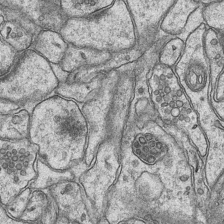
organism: Mouse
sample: CA1 Hippocampus